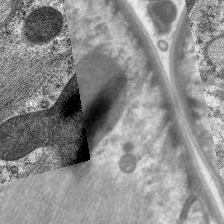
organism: C. elegans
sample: Pharynx